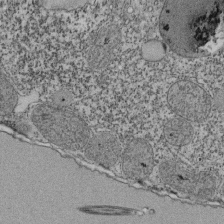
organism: Tetrahymena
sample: Cilia in tetrahymena